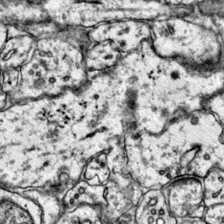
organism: Mouse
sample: Primary visual cortex